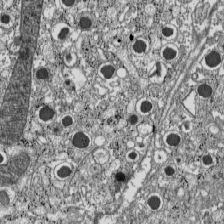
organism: C57BL Mouse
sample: Pancreatic islet